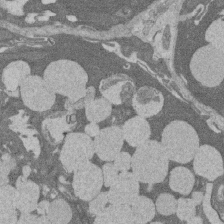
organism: Rat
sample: Salivary granule